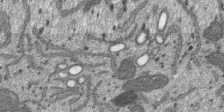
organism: Human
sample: Lung epithelial cells infected with SARS-CoV-2